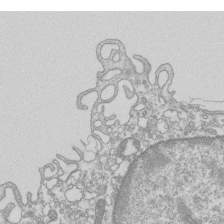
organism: Mouse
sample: Macrophages